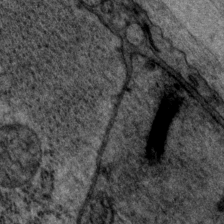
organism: P. pacificus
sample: Pharynx